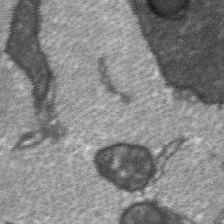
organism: C57BL Mouse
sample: Soleus